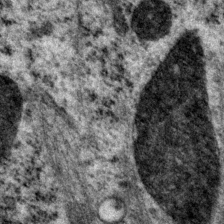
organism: P. pacificus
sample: Pharynx